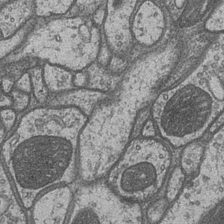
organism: Drosophila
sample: Optic medulla